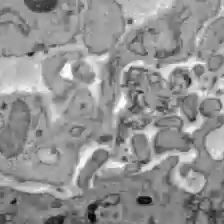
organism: C57BL Mouse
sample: Liver